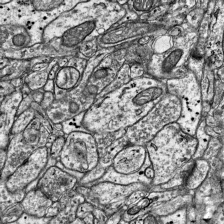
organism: Mouse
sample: Visual Cortex